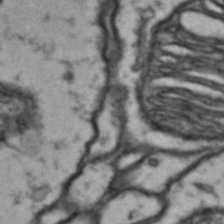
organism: Drosophila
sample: Brain